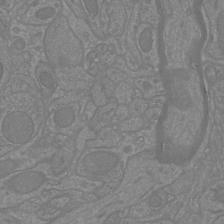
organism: Mouse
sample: Cortical neurons